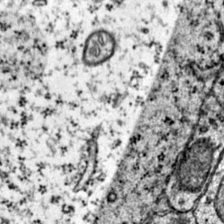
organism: Mouse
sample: Primary visual cortex